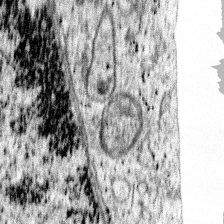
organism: Human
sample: HeLa cells